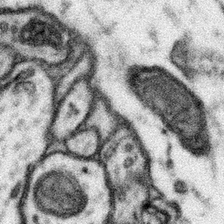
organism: Mouse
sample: Somatosensory cortex neuropil